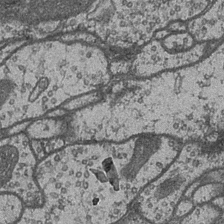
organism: Drosophila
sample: Optic medulla